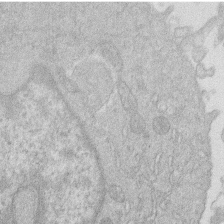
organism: Human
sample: Macrophage cells